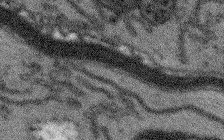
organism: Arabidopsis thaliana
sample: Root tip